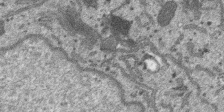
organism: Human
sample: Lung epithelial cells infected with SARS-CoV-2